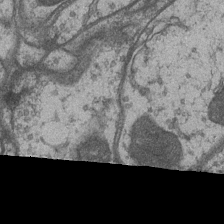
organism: Drosophila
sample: Optic medulla